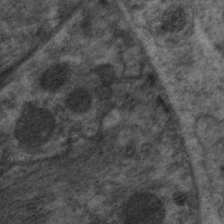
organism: C. elegans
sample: Pharynx